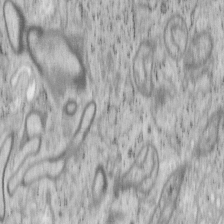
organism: Human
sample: HeLa cells